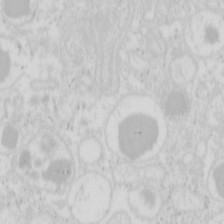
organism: Mouse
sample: Pancreas